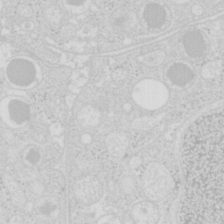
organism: Mouse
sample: Pancreas